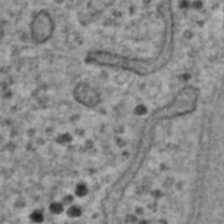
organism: Human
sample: Blood